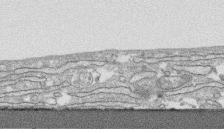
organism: Human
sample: CRL-1474